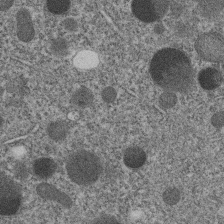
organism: C. elegans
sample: C. elegans embryo early stage